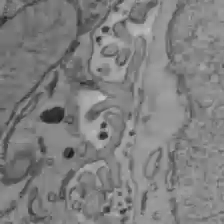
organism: C57BL Mouse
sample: Liver